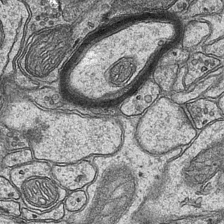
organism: Mouse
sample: CA1 Hippocampus